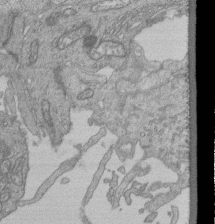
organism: Human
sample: Retinal organoid Rod and Cone cells